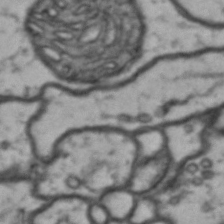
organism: Drosophila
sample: Brain